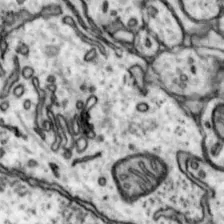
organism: Mouse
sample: Nucleus accumbens